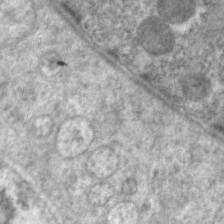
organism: C. elegans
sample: Pharynx